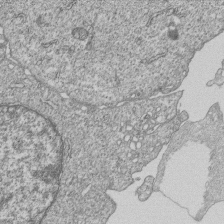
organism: Human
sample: MDA-MB-231 cells